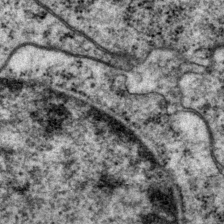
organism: P. pacificus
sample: Pharynx